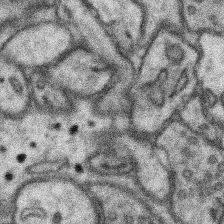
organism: Mouse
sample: Somatosensory cortex neuropil